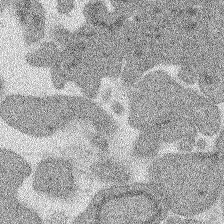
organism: Human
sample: HeLa cells